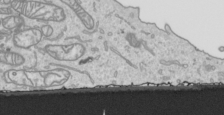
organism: Human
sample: Mitochondria in HCT116 cells